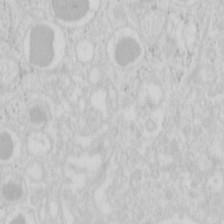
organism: Mouse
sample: Pancreas